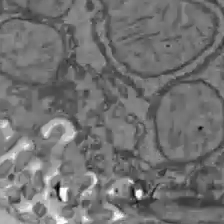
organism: C57BL Mouse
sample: Liver